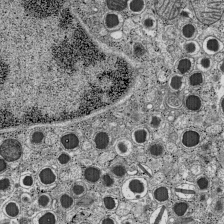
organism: C57BL Mouse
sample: Pancreatic islet